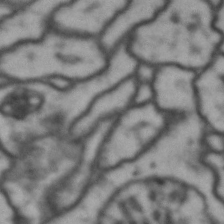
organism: Drosophila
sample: Brain